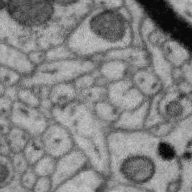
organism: Zebra finch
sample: Brain